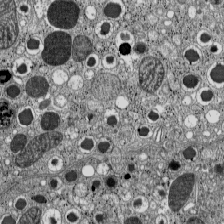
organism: C57BL Mouse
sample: Pancreatic islet